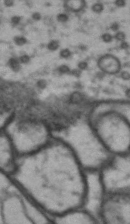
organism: Drosophila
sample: Brain